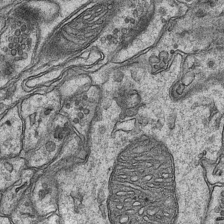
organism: Mouse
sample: CA1 Hippocampus